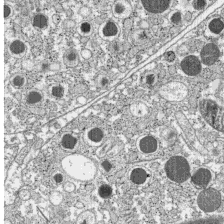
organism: C57BL Mouse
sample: Pancreatic islet